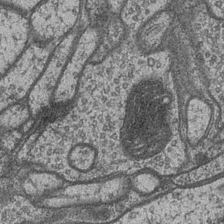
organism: Drosophila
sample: Optic medulla